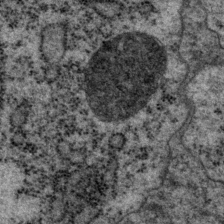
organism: P. pacificus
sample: Pharynx